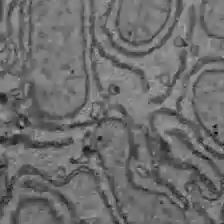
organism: C57BL Mouse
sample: Liver